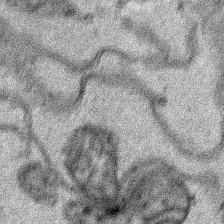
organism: Human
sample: Mitochondria in HCT116 cells